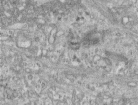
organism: Human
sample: Centriole in RPE cells